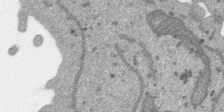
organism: Human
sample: Lung epithelial cells infected with SARS-CoV-2